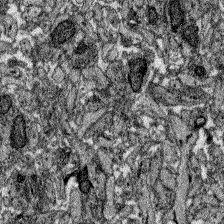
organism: Zebrafish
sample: Larval olfactory bulb